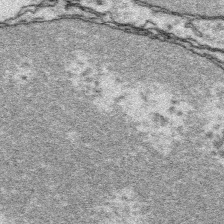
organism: Platynereis dumerilii